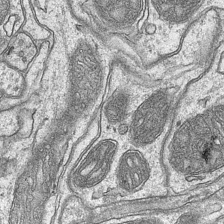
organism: Mouse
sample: CA1 Hippocampus